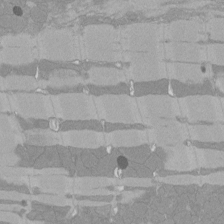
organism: Rat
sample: Left ventricle